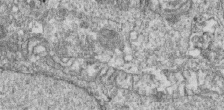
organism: Human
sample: HeLa cell HIV synapse